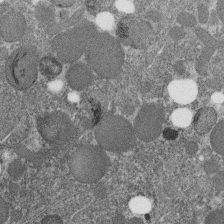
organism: C. elegans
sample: C. elegans embryo early stage